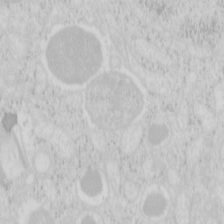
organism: Mouse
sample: Pancreas